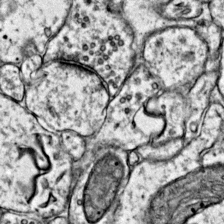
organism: Mouse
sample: Primary visual cortex